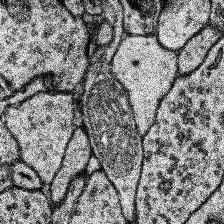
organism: Human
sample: Temporal Lobe